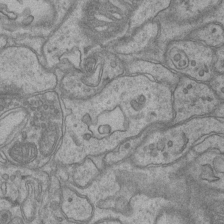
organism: Mouse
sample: CA1 Hippocampus